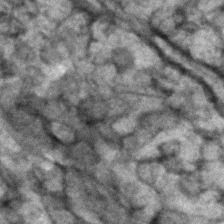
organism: Zebrafish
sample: Zebrafish embryo